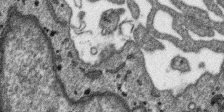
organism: Human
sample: Lung epithelial cells infected with SARS-CoV-2